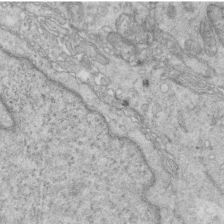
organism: Mouse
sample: Multiciliated cells